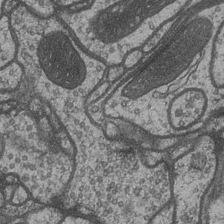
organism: Drosophila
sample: Optic medulla